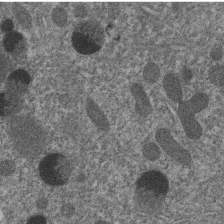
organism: C. elegans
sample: C. elegans embryo early stage